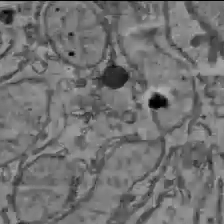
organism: C57BL Mouse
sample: Liver